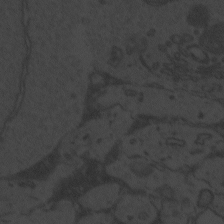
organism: Zebrafish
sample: Macrophage infected with Toxoplasma gondii